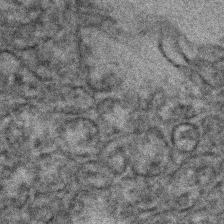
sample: Kidney